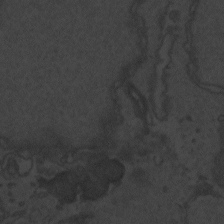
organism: Zebrafish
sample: Macrophage infected with Toxoplasma gondii